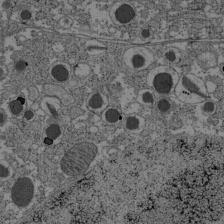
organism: C57BL Mouse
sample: Pancreatic islet